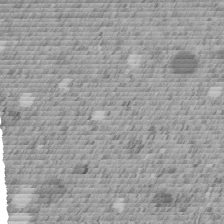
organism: C. elegans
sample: C. elegans embryo early stage